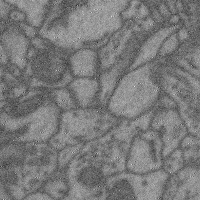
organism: Mouse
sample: Cerebral cortex